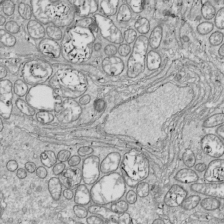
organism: Drosophila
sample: Cell division; meiosis; drosophila spermatocytes